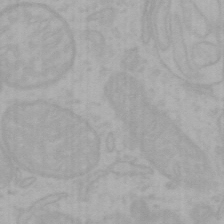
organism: Mouse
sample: Choroid plexus